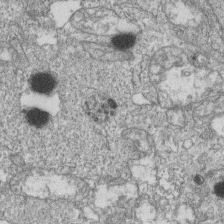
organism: Human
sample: HeLa cell HIV synapse